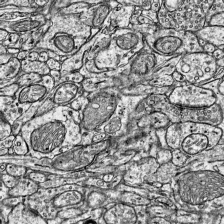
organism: Mouse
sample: Visual Cortex